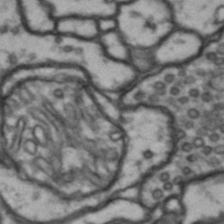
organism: Drosophila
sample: Brain